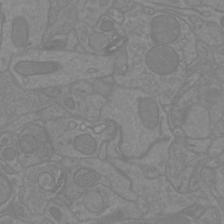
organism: Mouse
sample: Cortical neurons